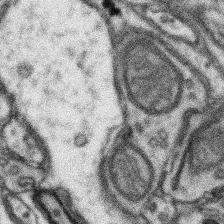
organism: Mouse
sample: Somatosensory cortex neuropil